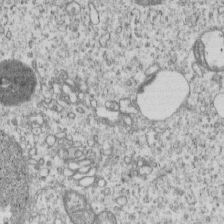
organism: Human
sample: MDA-MB-231 cells